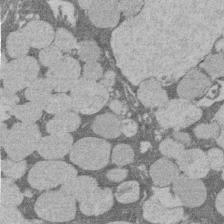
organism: Rat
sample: Salivary granule